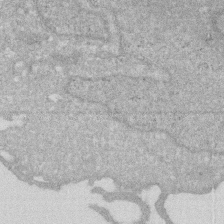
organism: Human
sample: HIV infected U937 cells